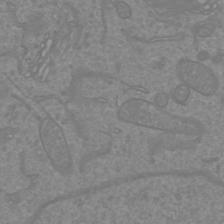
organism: Mouse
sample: Cortical neurons